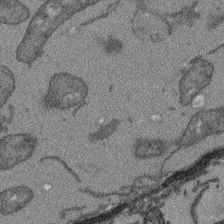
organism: Arabidopsis thaliana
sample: Root tip